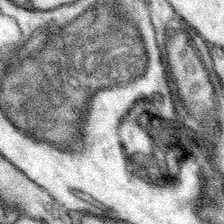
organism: Mouse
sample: Somatosensory cortex neuropil